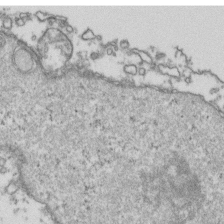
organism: Human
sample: Activated Jurkat CD4+ T cells